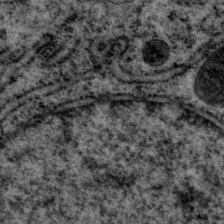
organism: P. pacificus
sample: Pharynx